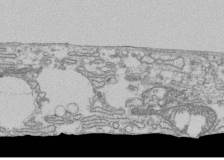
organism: Human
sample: Fibroblast cells